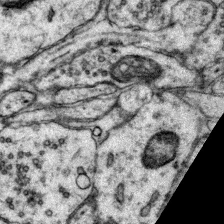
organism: Mouse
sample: Primary visual cortex